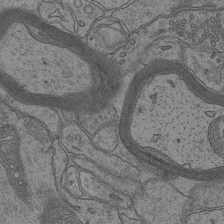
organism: Mouse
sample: CA1 Hippocampus